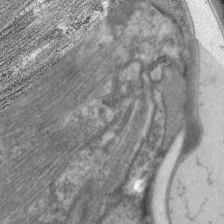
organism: C. elegans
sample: Pharynx